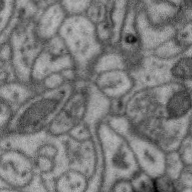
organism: Zebra finch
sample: Brain